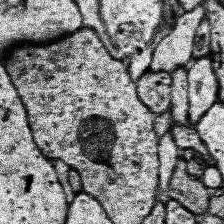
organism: Human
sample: Temporal Lobe